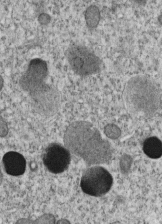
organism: C. elegans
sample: C. elegans embryo early stage